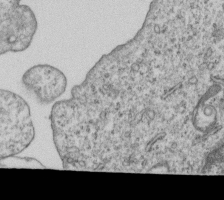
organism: Human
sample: MDA-MB-231 cells